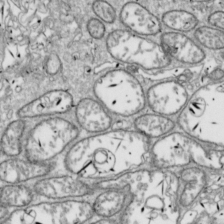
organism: Drosophila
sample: Cell division; meiosis; drosophila spermatocytes